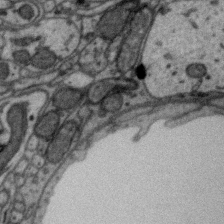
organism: Zebra finch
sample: Brain